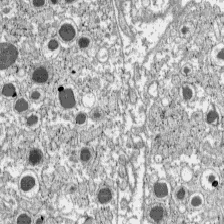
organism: C57BL Mouse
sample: Pancreatic islet